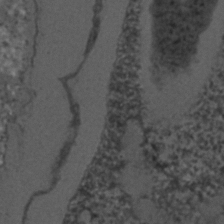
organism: C. elegans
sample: C. elegans embryo